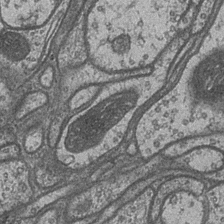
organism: Drosophila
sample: Optic medulla